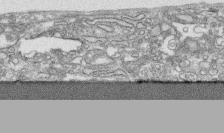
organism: Human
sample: CRL-1474